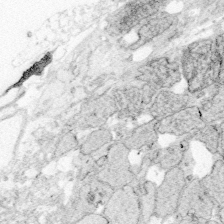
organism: Zebrafish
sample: Whole-Brain